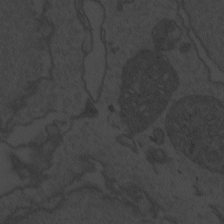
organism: Zebrafish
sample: Macrophage infected with Toxoplasma gondii